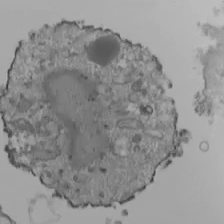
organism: Human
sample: Jurkat E6-1 and CD4 cells